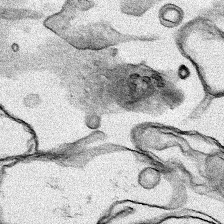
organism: Human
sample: Mitochondria in HCT116 cells